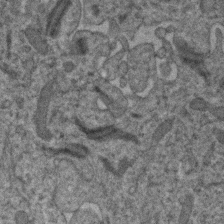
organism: Human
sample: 1205lu cells